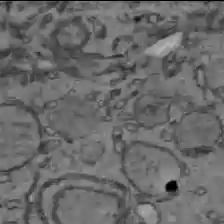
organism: C57BL Mouse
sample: Liver